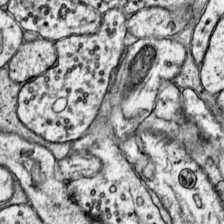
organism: Mouse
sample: Primary visual cortex